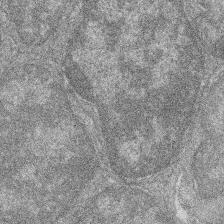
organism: Zebrafish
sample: Cilia; retinal pigment epithelium